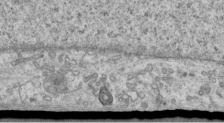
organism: Human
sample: Centriole in RPE cells